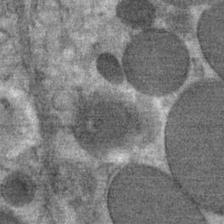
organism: Mouse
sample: Mouse Salivary gland